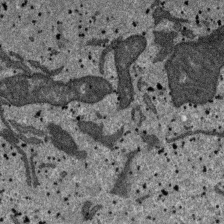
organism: Human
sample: Lung epithelial cells, uninfected (mock) control